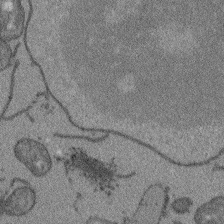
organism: Arabidopsis thaliana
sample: Root tip